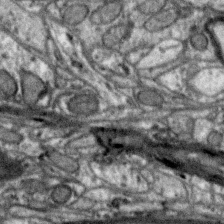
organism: Zebra finch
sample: Brain